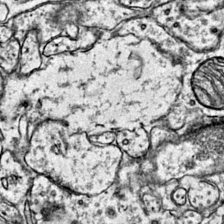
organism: Mouse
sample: Primary visual cortex